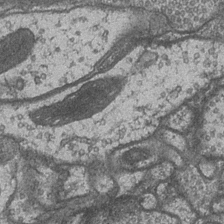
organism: Drosophila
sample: Optic medulla